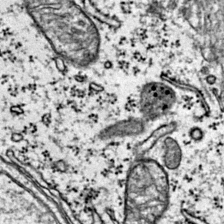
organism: Mouse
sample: Primary visual cortex